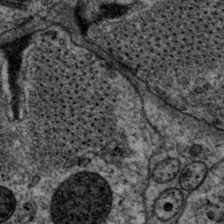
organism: P. pacificus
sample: Pharynx